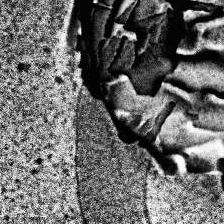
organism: Human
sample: Temporal Lobe